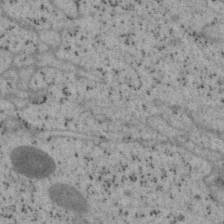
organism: Human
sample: HeLa cells